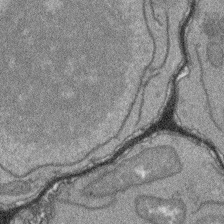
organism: Arabidopsis thaliana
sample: Root tip